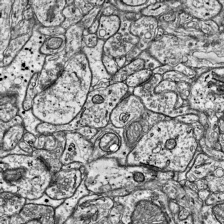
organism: Mouse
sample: Visual Cortex